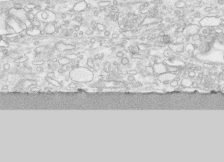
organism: Human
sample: CRL-1474